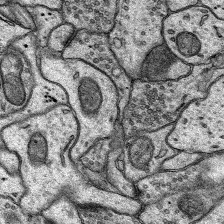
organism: Rat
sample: Hippocampus